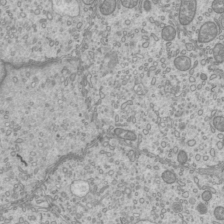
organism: Mouse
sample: Cilia; mouse epididymis